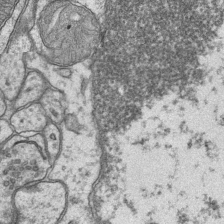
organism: Mouse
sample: CA1 Hippocampus